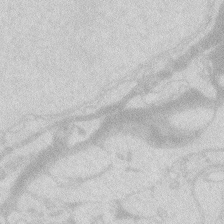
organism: Zebrafish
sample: Macrophage